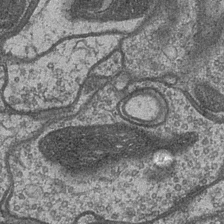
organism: Drosophila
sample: Optic medulla